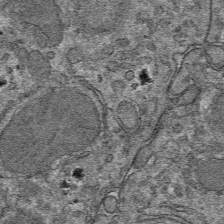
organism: Mouse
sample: Mouse hepatocytes